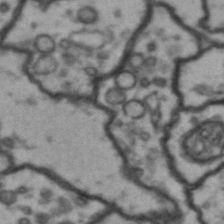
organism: Drosophila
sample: Brain